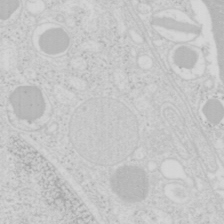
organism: Mouse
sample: Pancreas